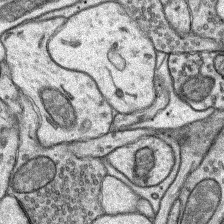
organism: Rat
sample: Hippocampus